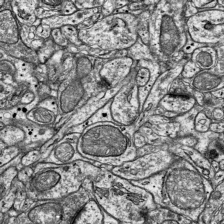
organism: Mouse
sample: Visual Cortex